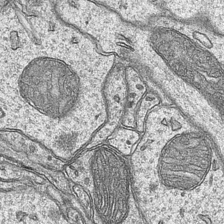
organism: Mouse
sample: CA1 Hippocampus